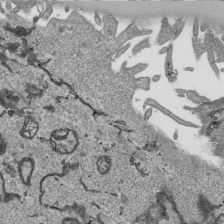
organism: Human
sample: Mitochondria in HCT116 cells